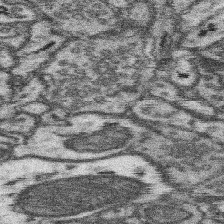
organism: Mouse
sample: Somatosensory cortex neuropil